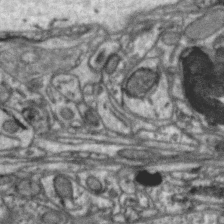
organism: Zebra finch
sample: Brain